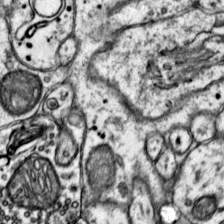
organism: Mouse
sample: Primary visual cortex